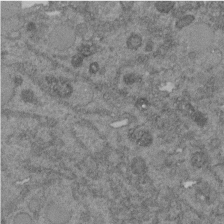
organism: C. elegans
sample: C. elegans embryo early stage